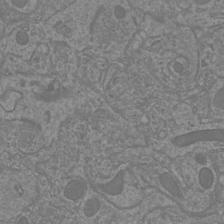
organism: Mouse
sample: Cortical neurons